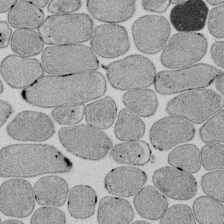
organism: E. coli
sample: Bacterial nucleoid